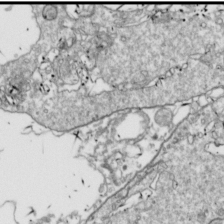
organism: Drosophila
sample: Cell division; meiosis; drosophila spermatocytes